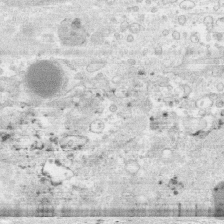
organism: Human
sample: CRL-1474